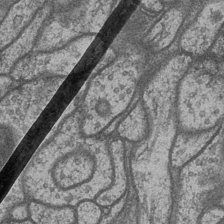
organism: Drosophila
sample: Optic medulla